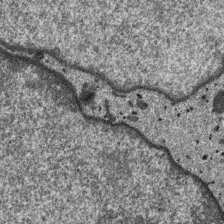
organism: Human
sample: Lung epithelial cells infected with SARS-CoV-2